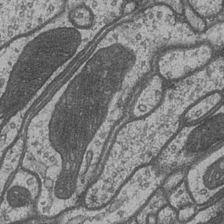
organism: Drosophila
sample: Optic medulla